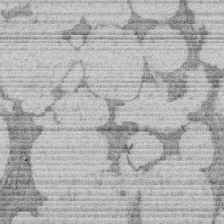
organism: Rat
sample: Salivary granule